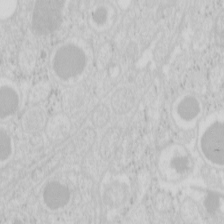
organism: Mouse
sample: Pancreas